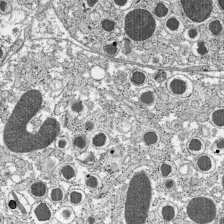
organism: C57BL Mouse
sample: Pancreatic islet